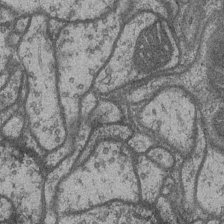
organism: Drosophila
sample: Optic medulla